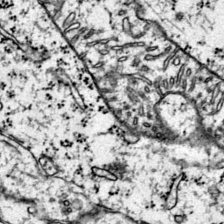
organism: Mouse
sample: Primary visual cortex